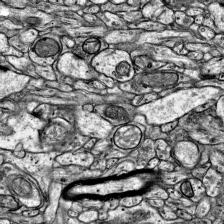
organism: Mouse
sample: Visual Cortex